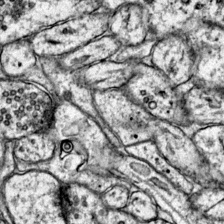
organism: Mouse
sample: Primary visual cortex